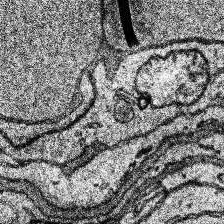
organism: Human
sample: Temporal Lobe